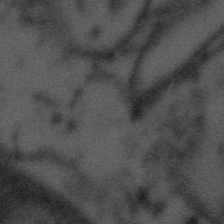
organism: Tuwongella immobilis